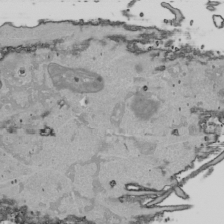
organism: Human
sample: Mitochondria in HCT116 cells